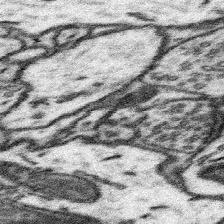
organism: Mouse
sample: Somatosensory cortex neuropil